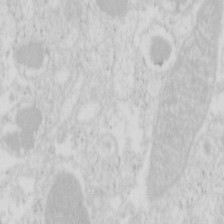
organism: Mouse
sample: Pancreas